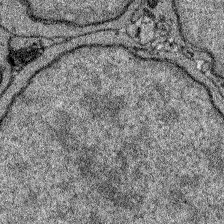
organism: Zebrafish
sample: Larval olfactory bulb